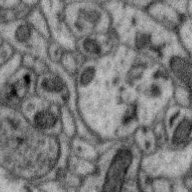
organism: Zebra finch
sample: Brain